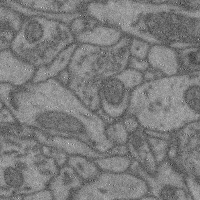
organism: Mouse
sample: Cerebral cortex